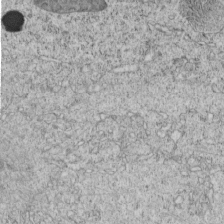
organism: C. elegans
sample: C. elegans embryo early stage